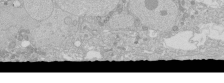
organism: Human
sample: Caco-2 cells